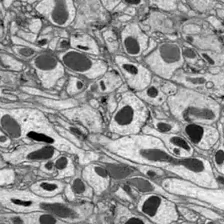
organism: Drosophila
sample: Optic lobe